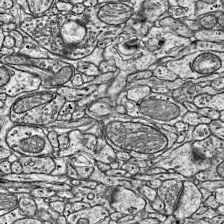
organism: Mouse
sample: Visual Cortex